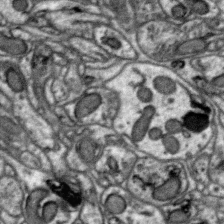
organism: Zebra finch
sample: Brain